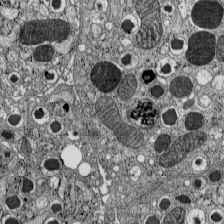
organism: C57BL Mouse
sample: Pancreatic islet